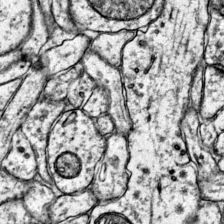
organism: Mouse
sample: Primary visual cortex